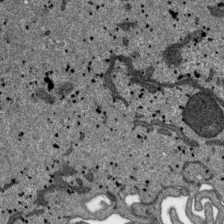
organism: Human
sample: Lung epithelial cells, uninfected (mock) control